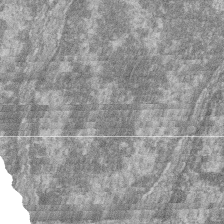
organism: Zebrafish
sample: Cilia; retinal pigment epithelium